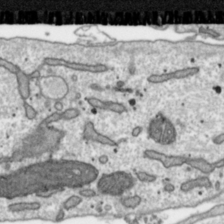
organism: Toxoplasma gondii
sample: Parasites in a vacuole inside a host cell